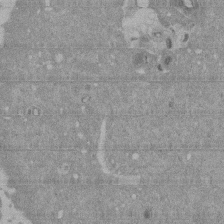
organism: Mouse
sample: ED-1 cell nuclei; centrioles